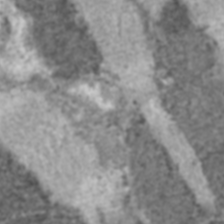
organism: C57BL Mouse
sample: Heart